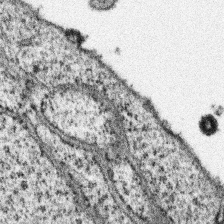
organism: Human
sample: HeLa cells